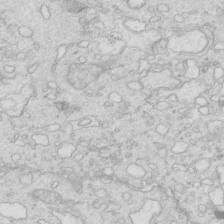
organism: Mouse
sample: Multiciliated cells